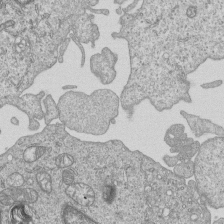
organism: Human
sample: MDA-MB-231 cells